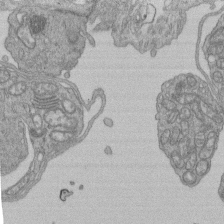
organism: Human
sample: Retinal organoid Rod and Cone cells